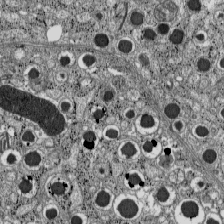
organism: C57BL Mouse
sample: Pancreatic islet